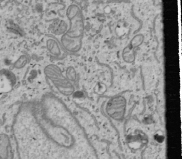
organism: Human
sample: Mitochondria in U2OS cells